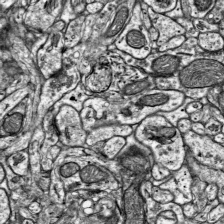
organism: Mouse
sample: Visual Cortex